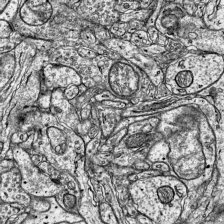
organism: Mouse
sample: Visual Cortex